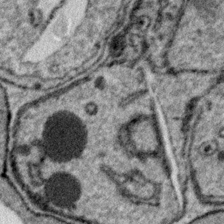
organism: Plasmodium falciparum